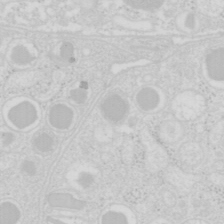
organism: Mouse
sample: Pancreas